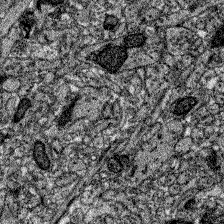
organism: Zebrafish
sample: Larval olfactory bulb